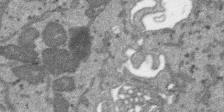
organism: Human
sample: Lung epithelial cells infected with SARS-CoV-2